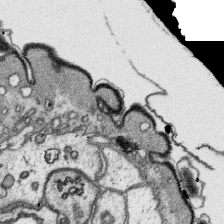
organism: Platynereis dumerilii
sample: Parapodia